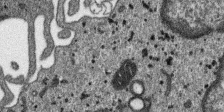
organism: Human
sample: Lung epithelial cells infected with SARS-CoV-2